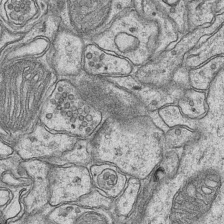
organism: Mouse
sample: CA1 Hippocampus